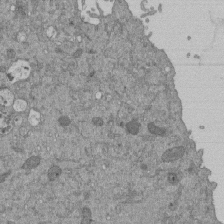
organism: Mouse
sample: ED-1 cell nuclei; centrioles